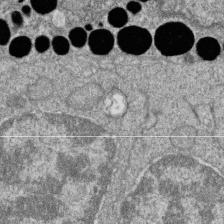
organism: Zebrafish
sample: Cilia; retinal pigment epithelium